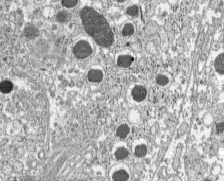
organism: C57BL Mouse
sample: Pancreatic islet